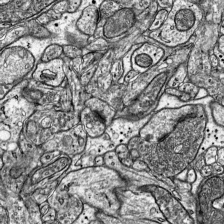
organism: Mouse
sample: Visual Cortex